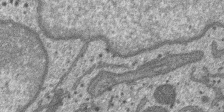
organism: Human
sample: Lung epithelial cells infected with SARS-CoV-2